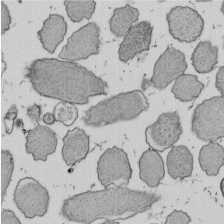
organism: E. coli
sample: Bacterial nucleoid